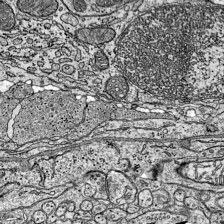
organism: Mouse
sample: Visual Cortex